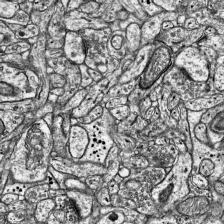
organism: Mouse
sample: Visual Cortex